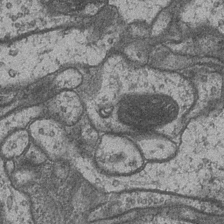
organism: Drosophila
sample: Optic medulla